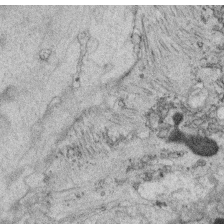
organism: C. elegans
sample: C. elegans oocyte; sperm cells